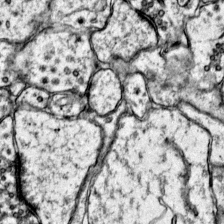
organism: Mouse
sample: Primary visual cortex